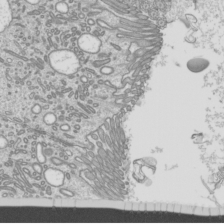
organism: Mouse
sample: Cilia; mouse epididymis